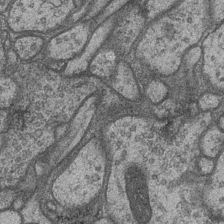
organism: Drosophila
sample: Optic medulla